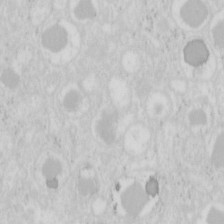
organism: Mouse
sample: Pancreas